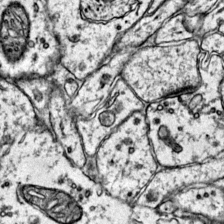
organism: Mouse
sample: Primary visual cortex